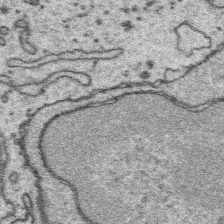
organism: Platynereis dumerilii